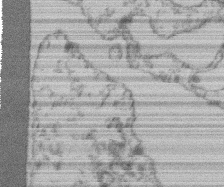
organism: Mouse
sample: T cell stromal cell synapse